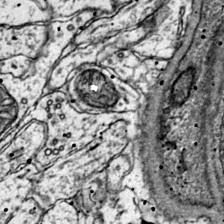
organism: Mouse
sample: Primary visual cortex